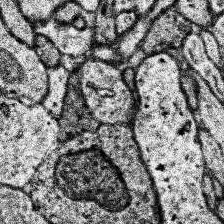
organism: Human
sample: Temporal Lobe